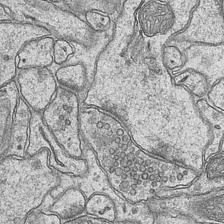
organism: Mouse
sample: CA1 Hippocampus